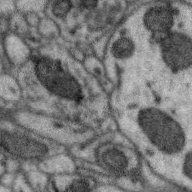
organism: Zebra finch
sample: Brain